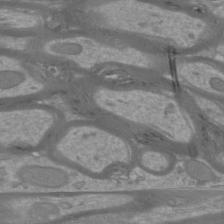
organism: Mouse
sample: Cortical neurons